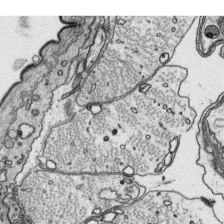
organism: Platynereis dumerilii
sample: Parapodia